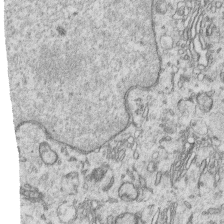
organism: Human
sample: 1205lu cells